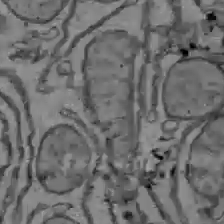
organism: C57BL Mouse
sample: Liver